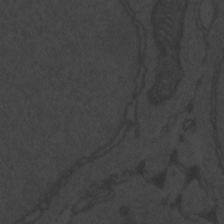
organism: Zebrafish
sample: Macrophage infected with Toxoplasma gondii